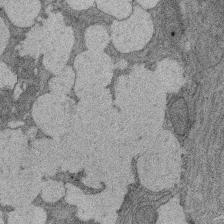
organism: Rat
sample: Salivary granule